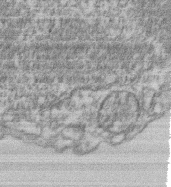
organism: Mouse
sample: T cell stromal cell synapse